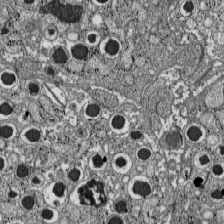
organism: C57BL Mouse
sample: Pancreatic islet